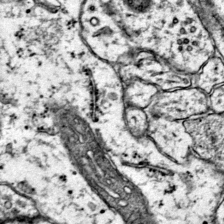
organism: Mouse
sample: Primary visual cortex